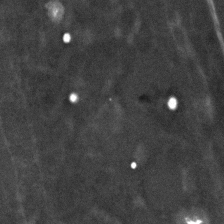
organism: C. elegans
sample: C. elegans embryo